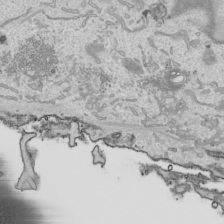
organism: Human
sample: Mitochondria in HCT116 cells